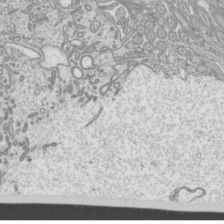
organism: Mouse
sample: Cilia; mouse epididymis